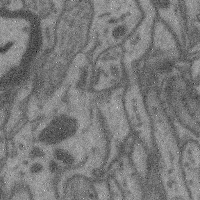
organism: Mouse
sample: Cerebral cortex